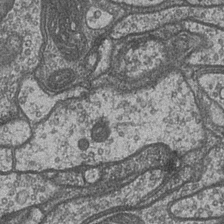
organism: Drosophila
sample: Optic medulla